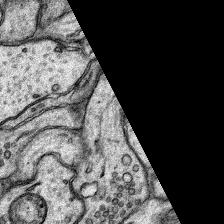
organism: Rat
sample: Hippocampus